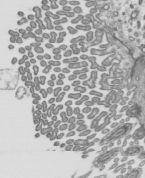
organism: Mouse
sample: Mouse epididymis efferent ductule cilia